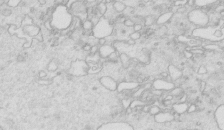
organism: Mouse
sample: Multiciliated cells